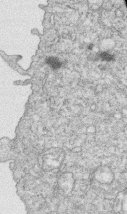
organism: Human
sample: HeLa cell HIV synapse